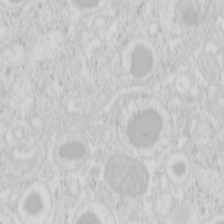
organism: Mouse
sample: Pancreas